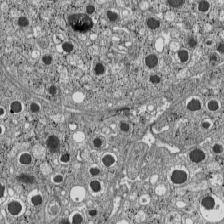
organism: C57BL Mouse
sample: Pancreatic islet